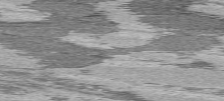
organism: C57BL Mouse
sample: Heart